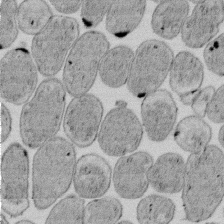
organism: E. coli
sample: Bacterial nucleoid